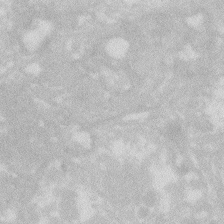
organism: Zebrafish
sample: Macrophage